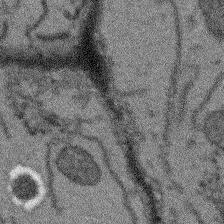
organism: Arabidopsis thaliana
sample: Root tip